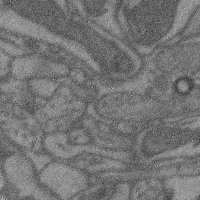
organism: Mouse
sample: Cerebral cortex